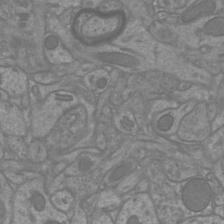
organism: Mouse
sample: Cortical neurons